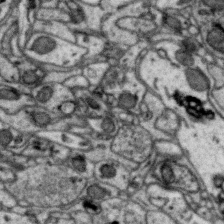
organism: Zebra finch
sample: Brain